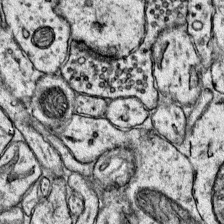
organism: Mouse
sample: Primary visual cortex